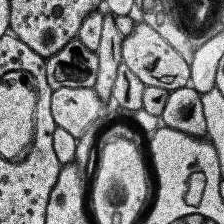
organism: Human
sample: Temporal Lobe